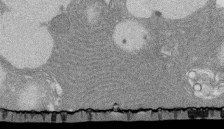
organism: Rat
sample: Salivary granule